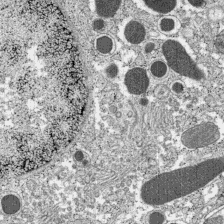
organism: C57BL Mouse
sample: Pancreatic islet